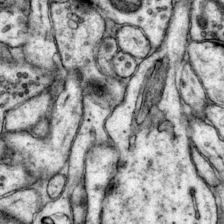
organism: Mouse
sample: Primary visual cortex